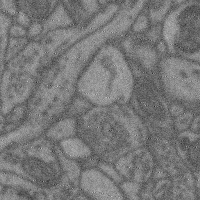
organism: Mouse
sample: Cerebral cortex